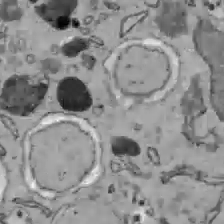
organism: C57BL Mouse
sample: Liver